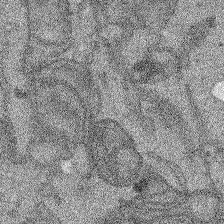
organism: Human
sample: HeLa cells